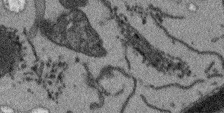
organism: Arabidopsis thaliana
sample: Root tip